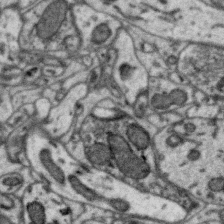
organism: Zebra finch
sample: Brain